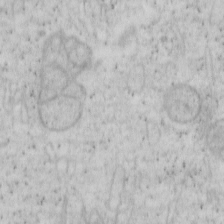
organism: Human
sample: HeLa cells